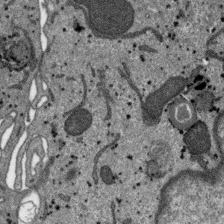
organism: Human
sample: Lung epithelial cells, uninfected (mock) control